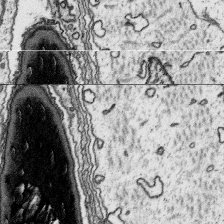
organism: Platynereis dumerilii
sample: Parapodia